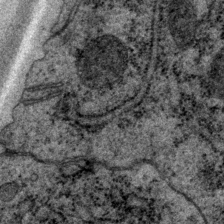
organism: P. pacificus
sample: Pharynx